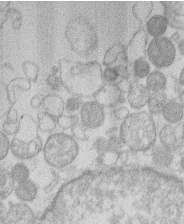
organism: Human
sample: Macrophage cells